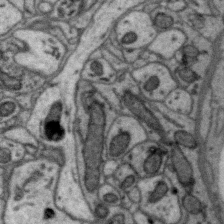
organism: Zebra finch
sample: Brain